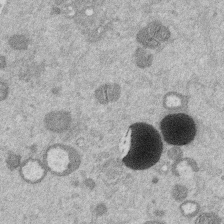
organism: Mouse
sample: Dividing mouse embryo 1 cell stage